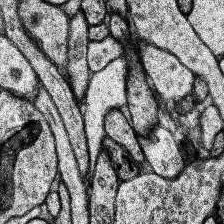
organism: Human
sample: Temporal Lobe